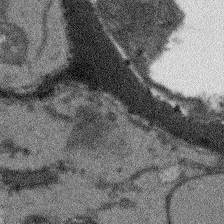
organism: Arabidopsis thaliana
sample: Root tip